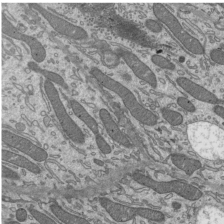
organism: Mouse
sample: Mouse epididymis efferent ductule cilia